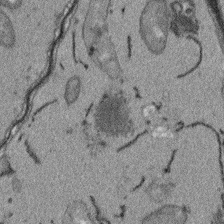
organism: Arabidopsis thaliana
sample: Root tip